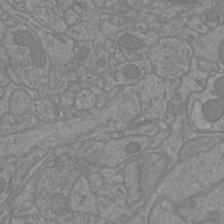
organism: Mouse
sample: Cortical neurons